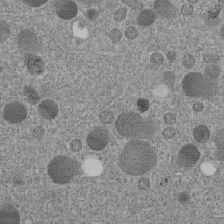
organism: C. elegans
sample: C. elegans embryo early stage